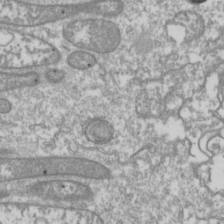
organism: Drosophila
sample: Cell division; meiosis; drosophila spermatocytes